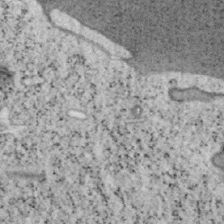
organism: Mouse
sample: OT-I killer T cells with ID8 ovarian cancer cells